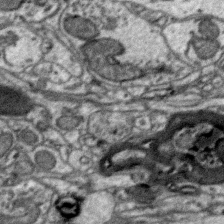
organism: Zebra finch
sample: Brain